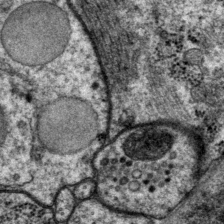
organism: P. pacificus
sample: Pharynx